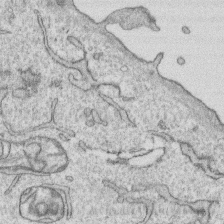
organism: Human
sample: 1205lu cells